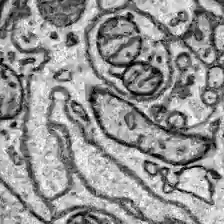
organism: Zebrafish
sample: Brain